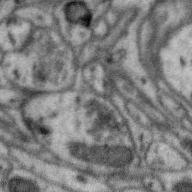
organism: Zebra finch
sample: Brain